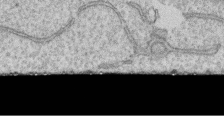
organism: Human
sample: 1205lu cells